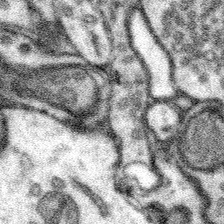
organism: Mouse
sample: Somatosensory cortex neuropil